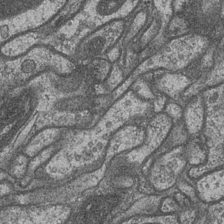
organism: Drosophila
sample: Optic medulla